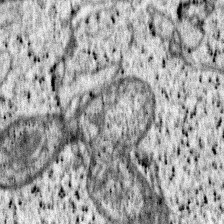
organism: Human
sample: HeLa cells